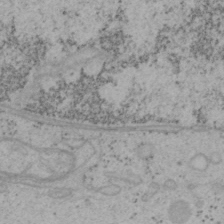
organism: Human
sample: HeLa cells